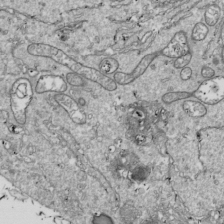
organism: Drosophila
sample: Cell division; meiosis; drosophila spermatocytes